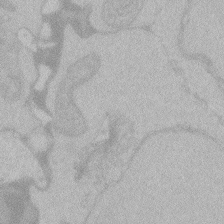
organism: Zebrafish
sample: Macrophage infected with Toxoplasma gondii